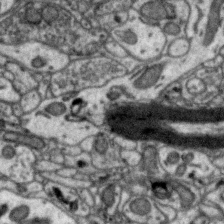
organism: Zebra finch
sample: Brain